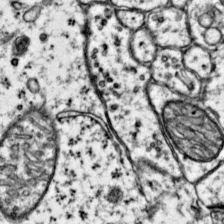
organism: Mouse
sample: Primary visual cortex